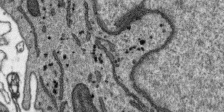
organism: Human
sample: Lung epithelial cells, uninfected (mock) control